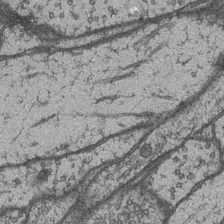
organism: Drosophila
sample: Optic medulla